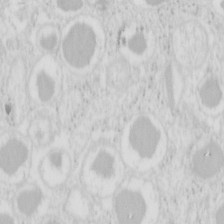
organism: Mouse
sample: Pancreas